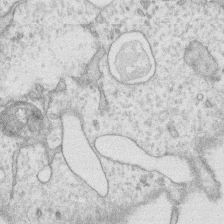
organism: Human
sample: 1205lu cells